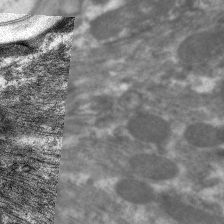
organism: C. elegans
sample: Pharynx